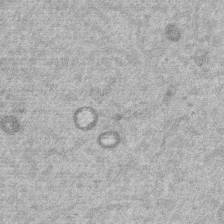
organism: Mouse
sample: Dividing mouse embryo 1 cell stage